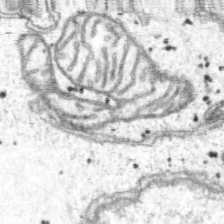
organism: Human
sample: HeLa cells